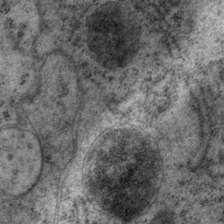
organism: P. pacificus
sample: Pharynx